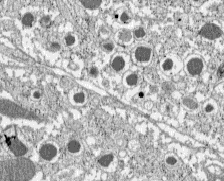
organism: C57BL Mouse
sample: Pancreatic islet